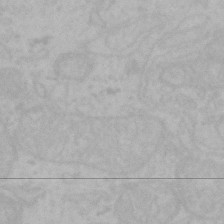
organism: Mouse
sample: Choroid plexus